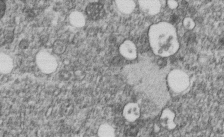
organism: C. elegans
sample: C. elegans embryo early stage